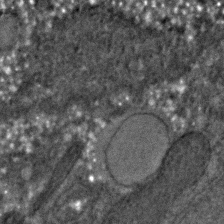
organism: C. elegans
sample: C. elegans embryo